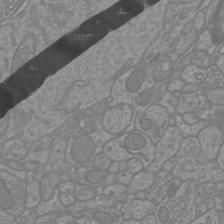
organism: Mouse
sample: Cortical neurons